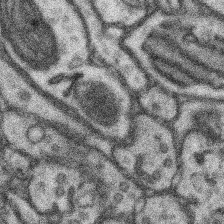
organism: Mouse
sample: Somatosensory cortex neuropil